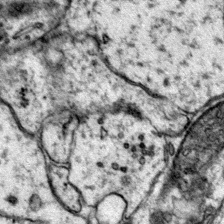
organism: Mouse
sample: Primary visual cortex